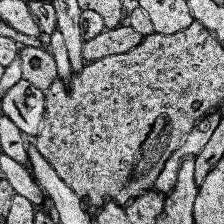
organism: Human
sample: Temporal Lobe